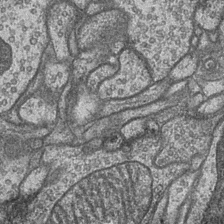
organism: Drosophila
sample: Optic medulla